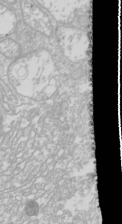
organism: Drosophila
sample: Cell division; meiosis; drosophila spermatocytes